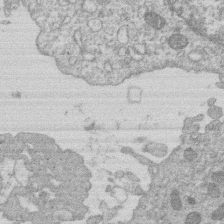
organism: Human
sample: Macrophage cells